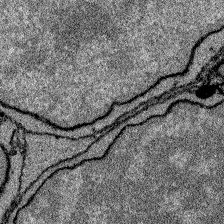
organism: Zebrafish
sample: Larval olfactory bulb